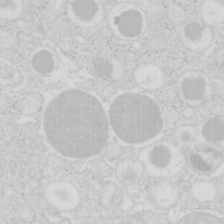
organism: Mouse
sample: Pancreas